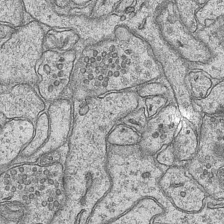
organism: Mouse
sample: CA1 Hippocampus